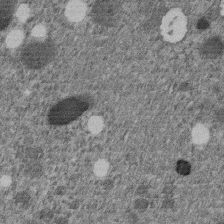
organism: C. elegans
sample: C. elegans embryo early stage